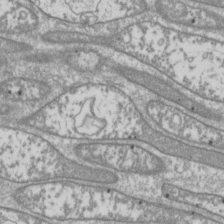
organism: Drosophila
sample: Cell division; meiosis; drosophila spermatocytes